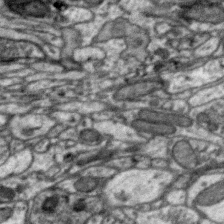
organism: Zebra finch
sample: Brain